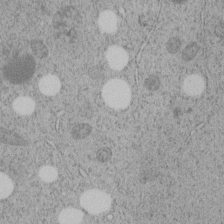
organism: C. elegans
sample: C. elegans embryo early stage